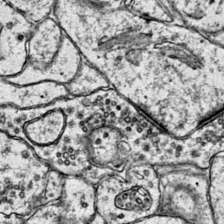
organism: Mouse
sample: Primary visual cortex